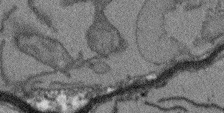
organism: Arabidopsis thaliana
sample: Root tip